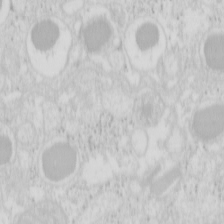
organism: Mouse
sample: Pancreas